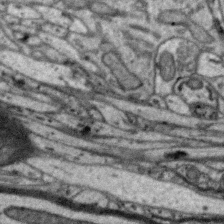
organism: Zebra finch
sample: Brain